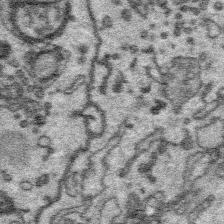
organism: Platynereis dumerilii